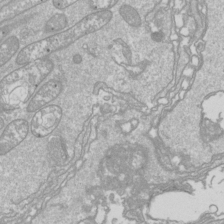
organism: Drosophila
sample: Cell division; meiosis; drosophila spermatocytes